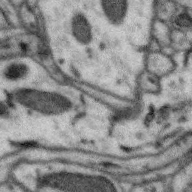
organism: Zebra finch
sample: Brain